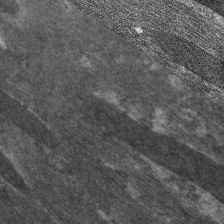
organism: C. elegans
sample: Pharynx